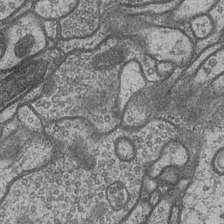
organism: Drosophila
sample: Optic medulla